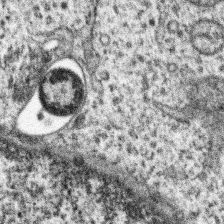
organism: Human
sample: HeLa cells